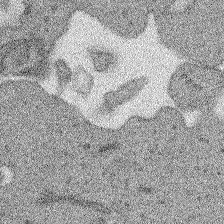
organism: Human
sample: HeLa cells